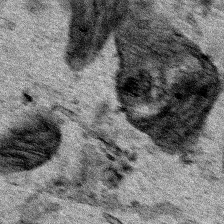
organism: Human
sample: Mitochondria in HCT116 cells